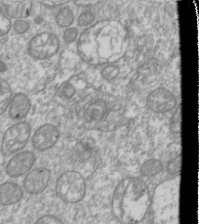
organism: Drosophila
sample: Cell division; meiosis; drosophila spermatocytes